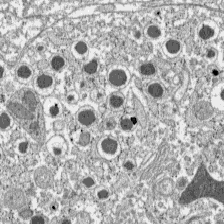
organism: C57BL Mouse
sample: Pancreatic islet